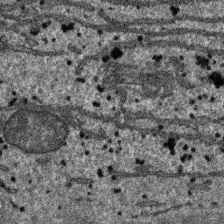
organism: Human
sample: Lung epithelial cells infected with SARS-CoV-2